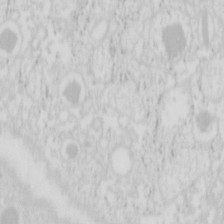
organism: Mouse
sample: Pancreas